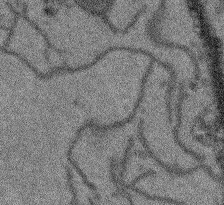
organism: Arabidopsis thaliana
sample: Root tip